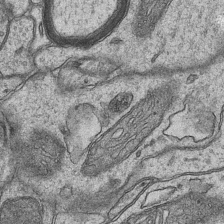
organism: Mouse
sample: CA1 Hippocampus